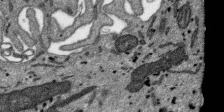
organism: Human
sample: Lung epithelial cells, uninfected (mock) control